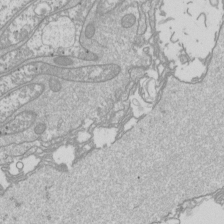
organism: Drosophila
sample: Cell division; meiosis; drosophila spermatocytes